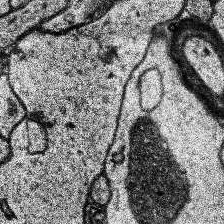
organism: Human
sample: Temporal Lobe